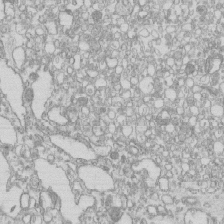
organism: Mouse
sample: Macrophages